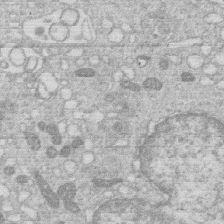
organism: Human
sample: Macrophage cells